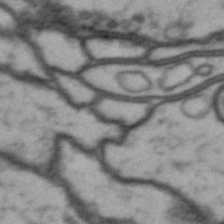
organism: Drosophila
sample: Brain